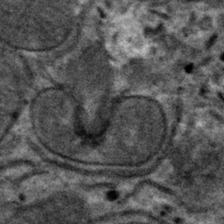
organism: Mouse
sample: Mouse hepatocytes